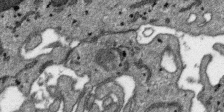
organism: Human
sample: Lung epithelial cells, uninfected (mock) control